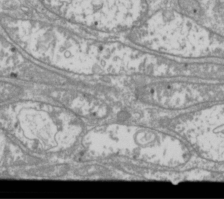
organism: Drosophila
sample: Cell division; meiosis; drosophila spermatocytes